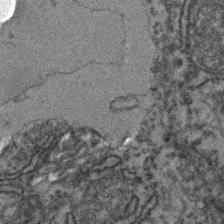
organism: Zebrafish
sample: Zebrafish embryo